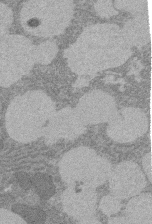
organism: Rat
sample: Salivary granule